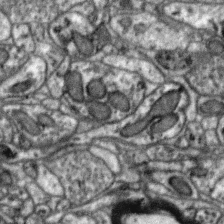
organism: Zebra finch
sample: Brain